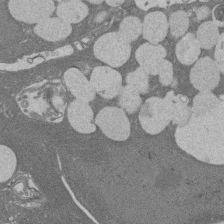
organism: Rat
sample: Salivary granule